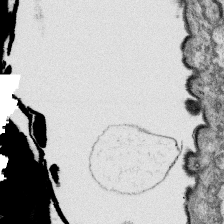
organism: Platynereis dumerilii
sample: Parapodia